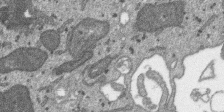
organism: Human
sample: Lung epithelial cells infected with SARS-CoV-2